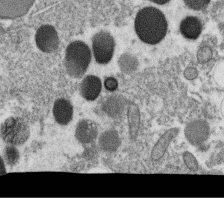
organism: C. elegans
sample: C. elegans oocyte; sperm cells